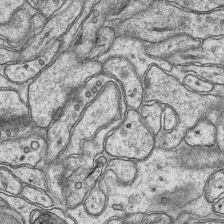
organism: Mouse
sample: CA1 Hippocampus